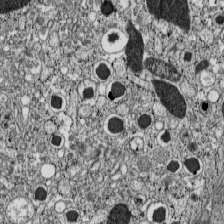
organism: C57BL Mouse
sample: Pancreatic islet